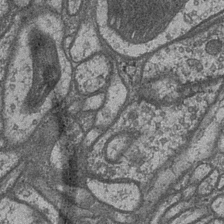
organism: Drosophila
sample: Optic medulla